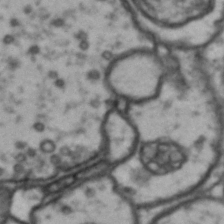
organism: Drosophila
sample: Brain